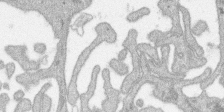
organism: Human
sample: Lung epithelial cells infected with SARS-CoV-2